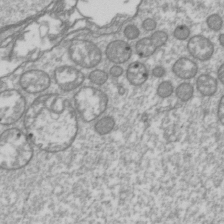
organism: Drosophila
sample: Cell division; meiosis; drosophila spermatocytes